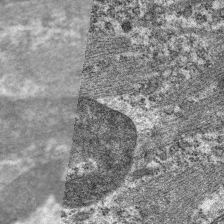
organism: C. elegans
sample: Pharynx